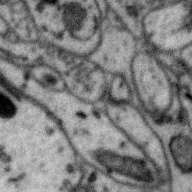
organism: Zebra finch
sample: Brain